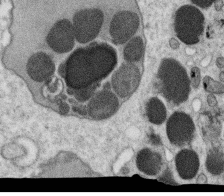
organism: C. elegans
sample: C. elegans oocyte; sperm cells